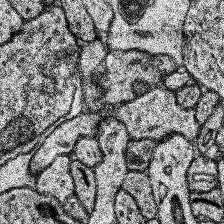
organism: Human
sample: Temporal Lobe